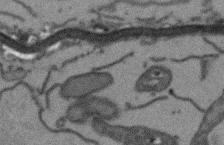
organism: Arabidopsis thaliana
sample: Root tip